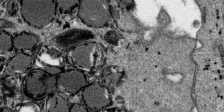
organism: Human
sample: Lung epithelial cells, uninfected (mock) control